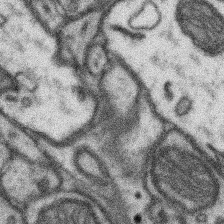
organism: Mouse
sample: Somatosensory cortex neuropil